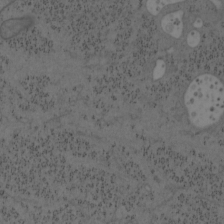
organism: Mouse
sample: OT-I killer T cells with ID8 ovarian cancer cells